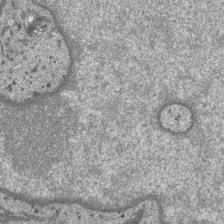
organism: Human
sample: Lung epithelial cells infected with SARS-CoV-2